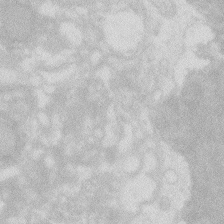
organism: Zebrafish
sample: Macrophage